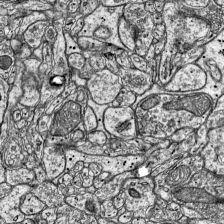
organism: Mouse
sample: Visual Cortex